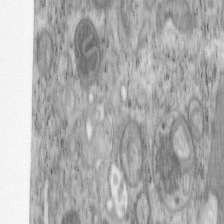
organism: Human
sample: HeLa cells